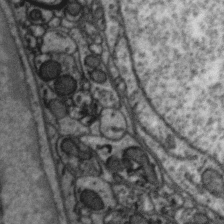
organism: Zebra finch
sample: Brain